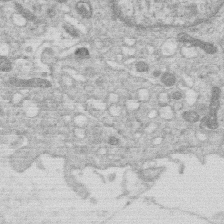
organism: Human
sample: Macrophage cells